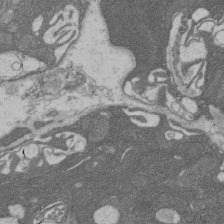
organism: Rat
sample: Salivary granule